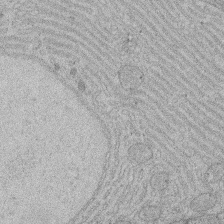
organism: Rat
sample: Salivary granule